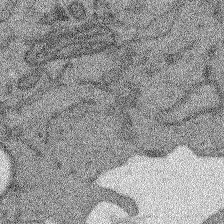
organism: Human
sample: HeLa cells